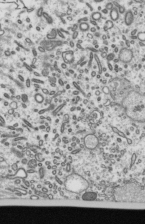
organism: Mouse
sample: Mouse epididymis efferent ductule cilia